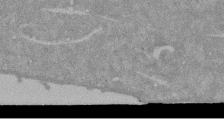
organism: Mouse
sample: ED-1 cell nuclei; centrioles